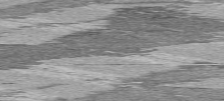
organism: C57BL Mouse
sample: Heart